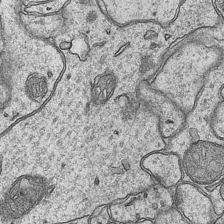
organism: Mouse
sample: CA1 Hippocampus